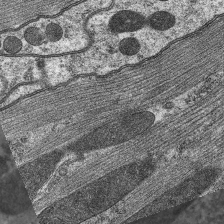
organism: C. elegans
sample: Pharynx